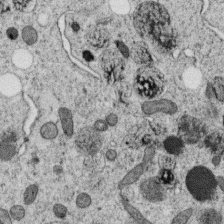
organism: C. elegans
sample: C. elegans oocyte; sperm cells